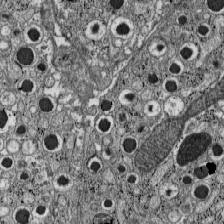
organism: C57BL Mouse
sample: Pancreatic islet